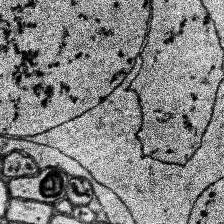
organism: Human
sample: Temporal Lobe